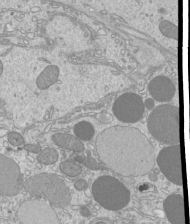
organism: Mouse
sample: Cilia; mouse epididymis